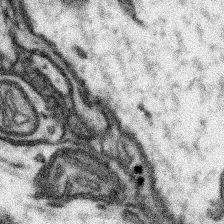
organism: Mouse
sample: Somatosensory cortex neuropil